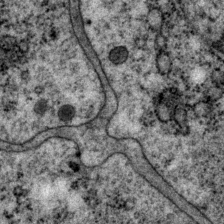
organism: P. pacificus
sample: Pharynx